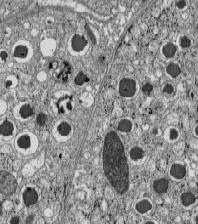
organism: C57BL Mouse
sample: Pancreatic islet